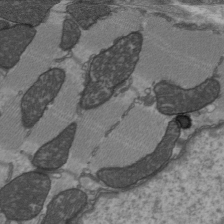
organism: C57BL Mouse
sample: Heart